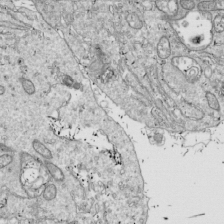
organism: Drosophila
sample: Cell division; meiosis; drosophila spermatocytes